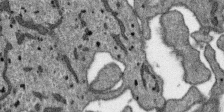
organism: Human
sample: Lung epithelial cells, uninfected (mock) control